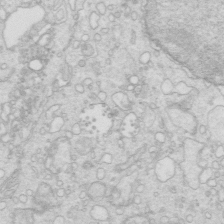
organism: Mouse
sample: Multiciliated cells